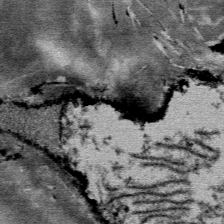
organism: Mouse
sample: Mouse Salivary gland